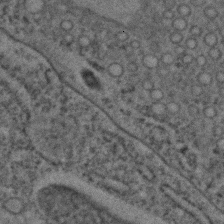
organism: C. elegans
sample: C. elegans embryo